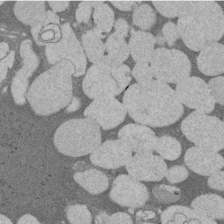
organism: Rat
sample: Salivary granule